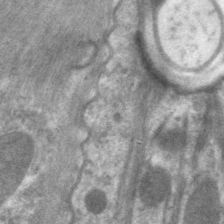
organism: C. elegans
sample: Pharynx